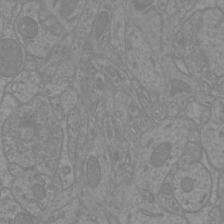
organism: Mouse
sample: Cortical neurons